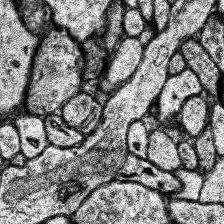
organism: Human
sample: Temporal Lobe